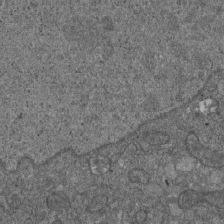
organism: Drosophila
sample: Nephrocyte